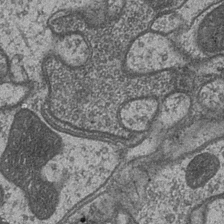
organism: Drosophila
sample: Optic medulla